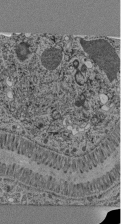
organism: C. elegans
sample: C. elegans pharynx